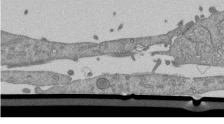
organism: Mouse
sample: ED-1 cell nuclei; centrioles